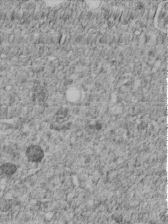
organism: C. elegans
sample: C. elegans embryo early stage